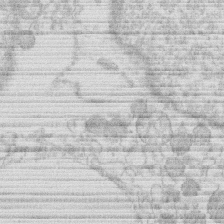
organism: Human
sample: Macrophage cells